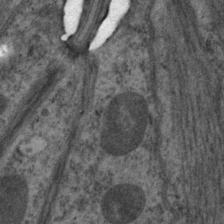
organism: C. elegans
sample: Pharynx